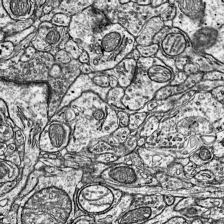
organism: Mouse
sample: Visual Cortex